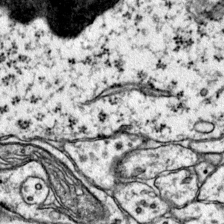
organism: Mouse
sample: Primary visual cortex